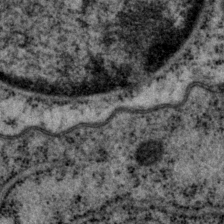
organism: P. pacificus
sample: Pharynx